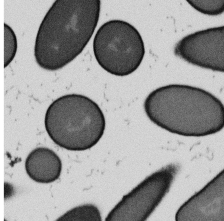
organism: B. subtilis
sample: Bacterial spore